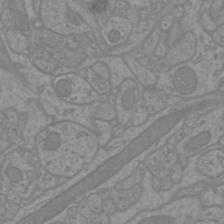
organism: Mouse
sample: Cortical neurons